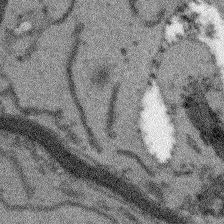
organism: Arabidopsis thaliana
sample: Root tip